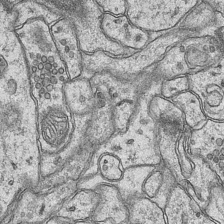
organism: Mouse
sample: CA1 Hippocampus